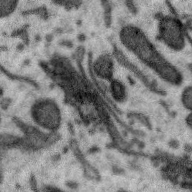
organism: Zebra finch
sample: Brain